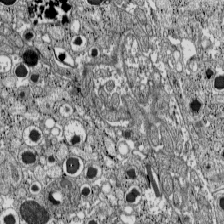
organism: C57BL Mouse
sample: Pancreatic islet